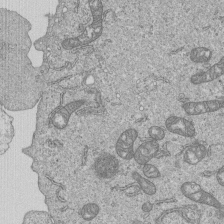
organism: Human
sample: MDA-MB-231 cells